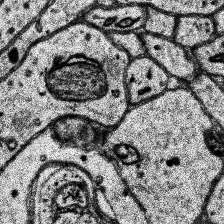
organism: Human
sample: Temporal Lobe